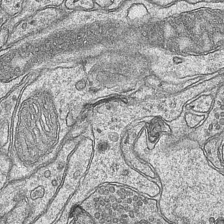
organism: Mouse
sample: CA1 Hippocampus